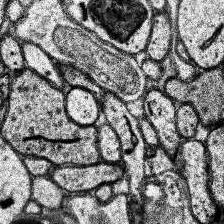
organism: Human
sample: Temporal Lobe